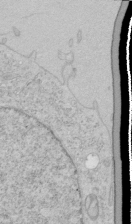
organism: Human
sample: Mitochondria in HCT116 cells